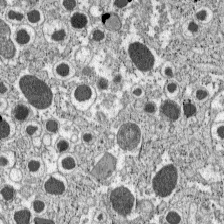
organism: C57BL Mouse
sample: Pancreatic islet